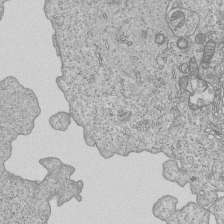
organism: Human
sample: MDA-MB-231 cells